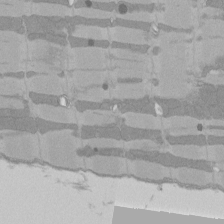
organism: Rat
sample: Left ventricle